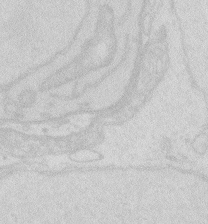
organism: Zebrafish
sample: Macrophage